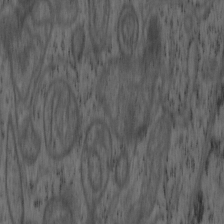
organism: Human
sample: HeLa cells